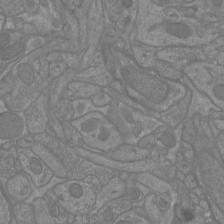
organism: Mouse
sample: Cortical neurons